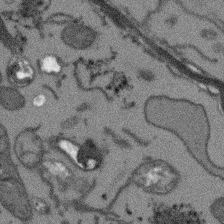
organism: Arabidopsis thaliana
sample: Root tip